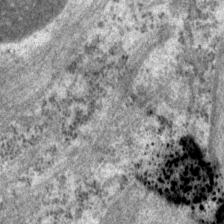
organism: P. pacificus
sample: Pharynx